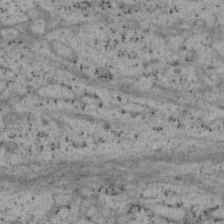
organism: Human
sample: HeLa cells